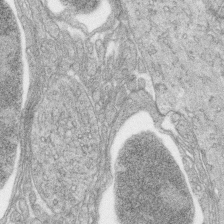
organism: Zebrafish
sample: synaptic ribbons in rod cells and cone cells